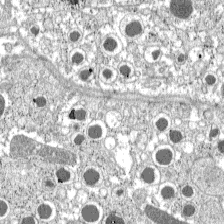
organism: C57BL Mouse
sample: Pancreatic islet